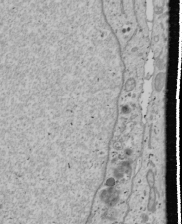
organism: Human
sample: Mitochondria in U2OS cells